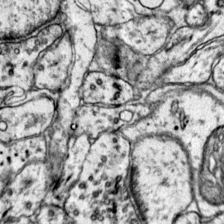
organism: Mouse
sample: Primary visual cortex